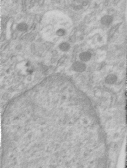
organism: Human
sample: Centriole in RPE cells